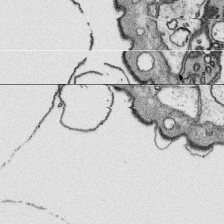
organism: Platynereis dumerilii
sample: Parapodia